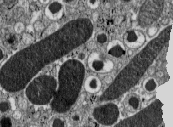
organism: C57BL Mouse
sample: Pancreatic islet